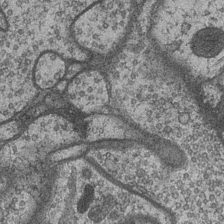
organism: Drosophila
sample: Optic medulla